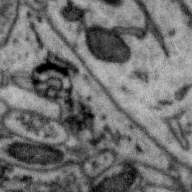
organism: Zebra finch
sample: Brain